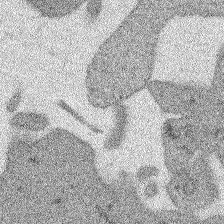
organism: Human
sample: HeLa cells